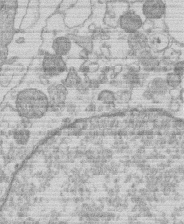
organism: Human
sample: Macrophage cells